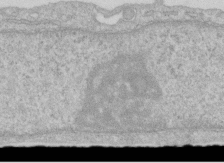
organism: Human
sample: Centriole in RPE cells